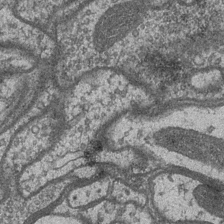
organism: Drosophila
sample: Optic medulla